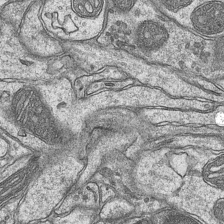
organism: Mouse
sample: CA1 Hippocampus